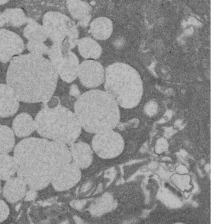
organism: Rat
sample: Salivary granule